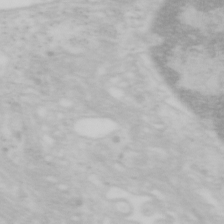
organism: Mouse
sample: OT-I killer T cells with ID8 ovarian cancer cells